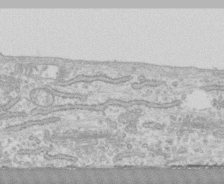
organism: Human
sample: CRL-1474